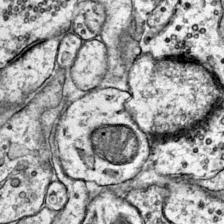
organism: Mouse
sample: Primary visual cortex